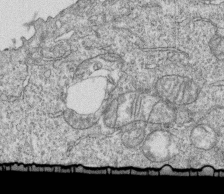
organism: Human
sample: HeLa cell HIV synapse